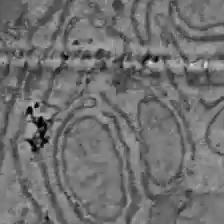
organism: C57BL Mouse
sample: Liver